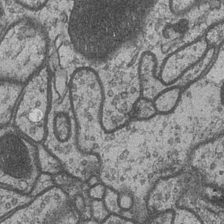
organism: Drosophila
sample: Optic medulla